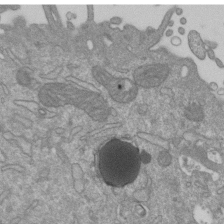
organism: Mouse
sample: ED-1 cell nuclei; centrioles